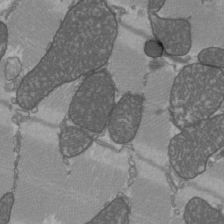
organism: C57BL Mouse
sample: Heart